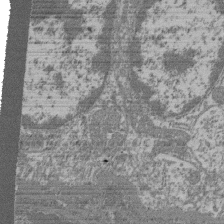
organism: Mouse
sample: Glomerulus